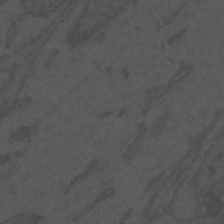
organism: Mouse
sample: Suprachiasmatic nucleus